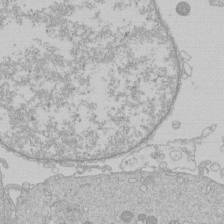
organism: Human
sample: Macrophage cells